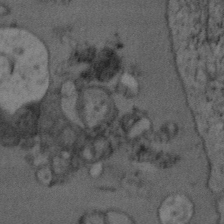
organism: Human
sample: HeLa cells